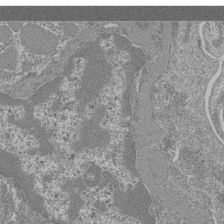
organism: Mouse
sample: Glomerulus